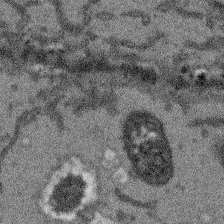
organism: Arabidopsis thaliana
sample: Root tip